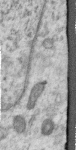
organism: Human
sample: Centriole in RPE cells